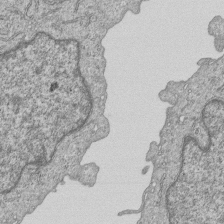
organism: Human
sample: MDA-MB-231 cells